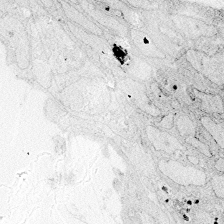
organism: Zebrafish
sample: Whole-Brain